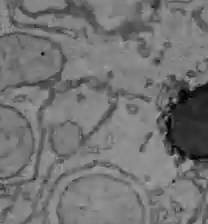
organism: C57BL Mouse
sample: Liver